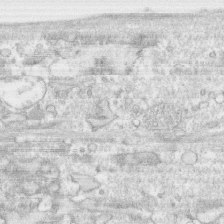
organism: Human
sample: CRL-1474